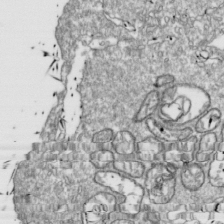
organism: Drosophila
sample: Cell division; meiosis; drosophila spermatocytes